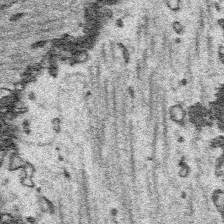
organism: Platynereis dumerilii